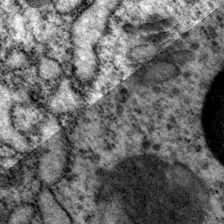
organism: P. pacificus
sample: Pharynx